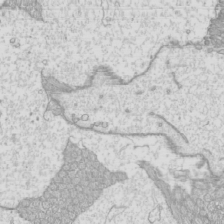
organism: Mouse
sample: Cilia; mouse epididymis